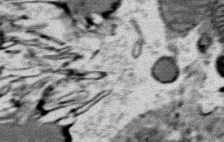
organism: Mouse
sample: Mouse Salivary gland